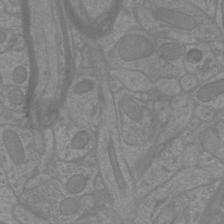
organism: Mouse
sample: Cortical neurons